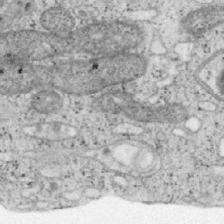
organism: Mouse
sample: OT-I killer T cells with ID8 ovarian cancer cells